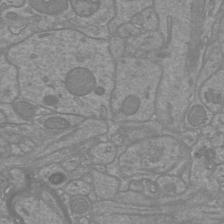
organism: Mouse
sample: Cortical neurons